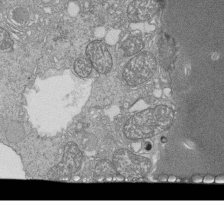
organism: Tetrahymena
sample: Cilia in tetrahymena